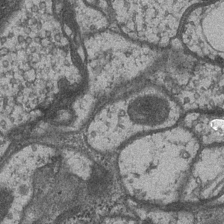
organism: Drosophila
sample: Optic medulla